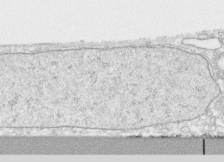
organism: Human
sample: CRL-1474